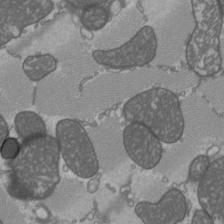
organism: C57BL Mouse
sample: Heart